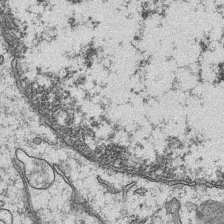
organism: Mouse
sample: CA1 Hippocampus